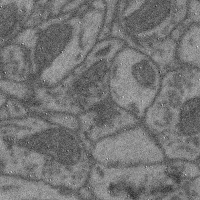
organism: Mouse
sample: Cerebral cortex